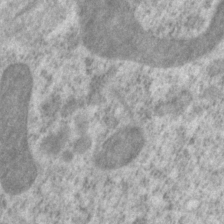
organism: P. pacificus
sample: Pharynx